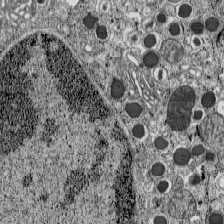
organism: C57BL Mouse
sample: Pancreatic islet